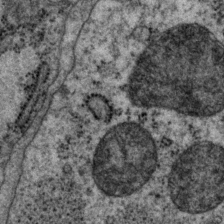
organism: P. pacificus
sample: Pharynx